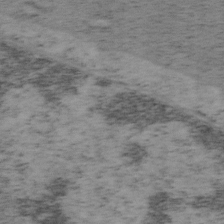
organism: Mouse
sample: OT-I killer T cells with ID8 ovarian cancer cells